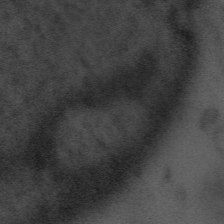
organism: Tuwongella immobilis